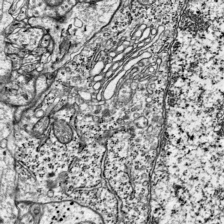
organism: Mouse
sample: Visual Cortex